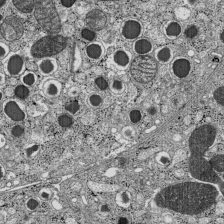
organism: C57BL Mouse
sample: Pancreatic islet